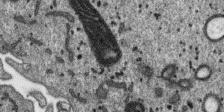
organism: Human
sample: Lung epithelial cells infected with SARS-CoV-2